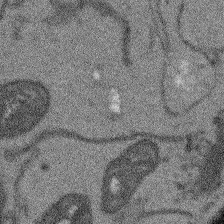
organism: Arabidopsis thaliana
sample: Root tip